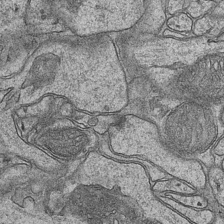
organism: Mouse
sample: CA1 Hippocampus